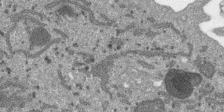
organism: Human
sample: Lung epithelial cells infected with SARS-CoV-2